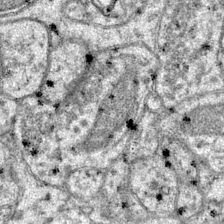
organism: Mouse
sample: Primary visual cortex